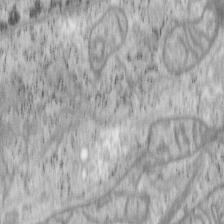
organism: Human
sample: HeLa cells